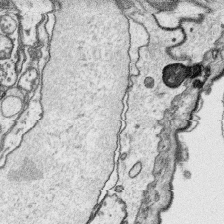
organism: Platynereis dumerilii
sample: Parapodia